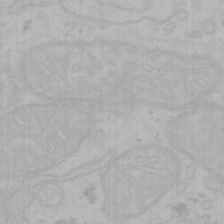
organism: Mouse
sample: Choroid plexus